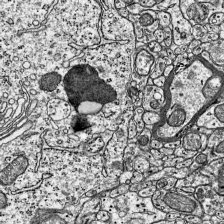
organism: Mouse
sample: Visual Cortex